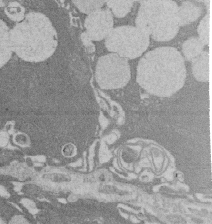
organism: Rat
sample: Salivary granule